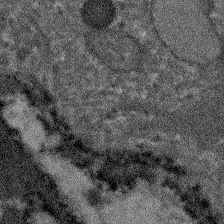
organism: Arabidopsis thaliana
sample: Root tip